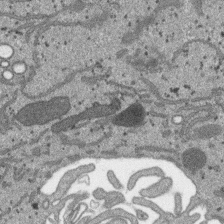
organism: Human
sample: Lung epithelial cells infected with SARS-CoV-2